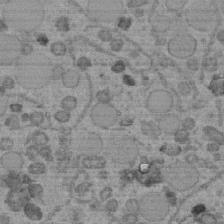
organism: C. elegans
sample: C. elegans embryo early stage